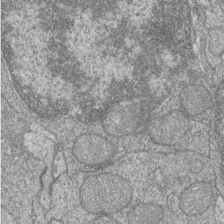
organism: Zebrafish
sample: Cilia; retinal pigment epithelium